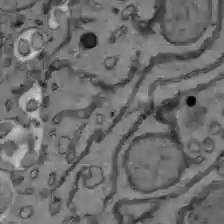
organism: C57BL Mouse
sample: Liver